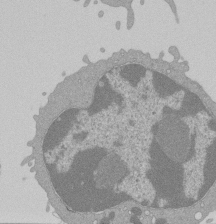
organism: Mouse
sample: Activated Pmel transgenic CD8+ T Cells